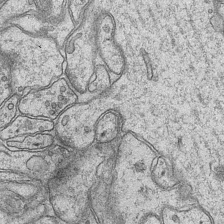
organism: Mouse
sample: CA1 Hippocampus